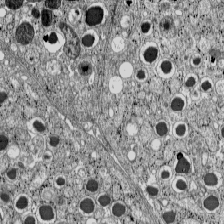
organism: C57BL Mouse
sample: Pancreatic islet